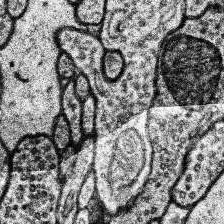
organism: Human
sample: Temporal Lobe